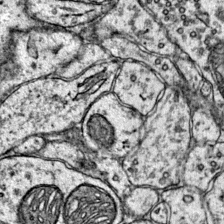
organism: Mouse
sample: Primary visual cortex